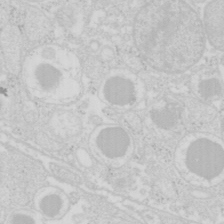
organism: Mouse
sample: Pancreas